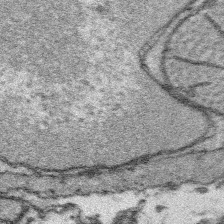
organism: Platynereis dumerilii